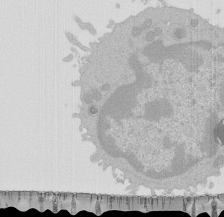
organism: Mouse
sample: Activated Pmel transgenic CD8+ T Cells